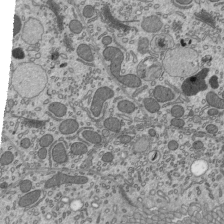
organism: Mouse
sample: Mouse epididymis efferent ductule cilia